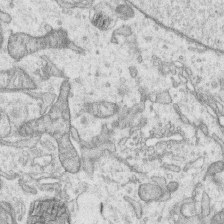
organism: Human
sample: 1205lu cells